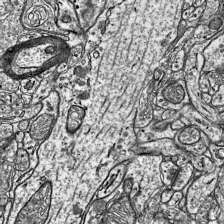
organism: Mouse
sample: Visual Cortex